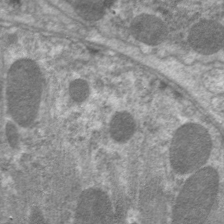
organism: C. elegans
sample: Pharynx